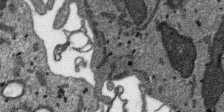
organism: Human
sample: Lung epithelial cells infected with SARS-CoV-2